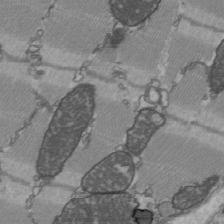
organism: C57BL Mouse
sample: Heart